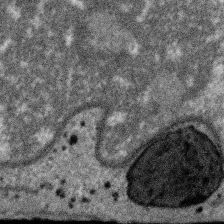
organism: Human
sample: Lung epithelial cells infected with SARS-CoV-2